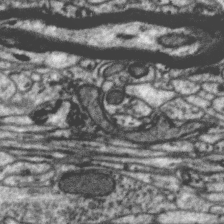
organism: Zebra finch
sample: Brain